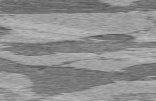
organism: C57BL Mouse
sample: Heart